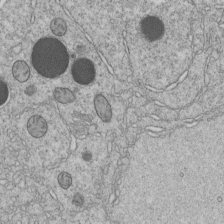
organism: C. elegans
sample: C. elegans embryo early stage